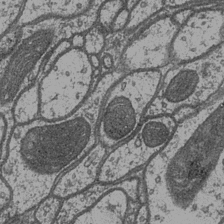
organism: Drosophila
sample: Optic medulla